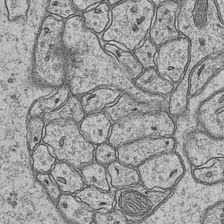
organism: Mouse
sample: CA1 Hippocampus